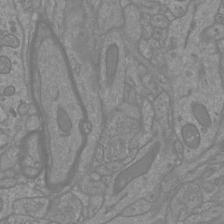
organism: Mouse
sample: Cortical neurons